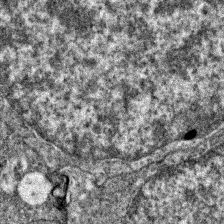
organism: Zebrafish